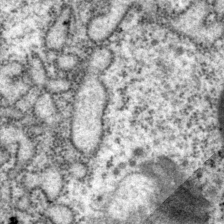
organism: P. pacificus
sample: Pharynx